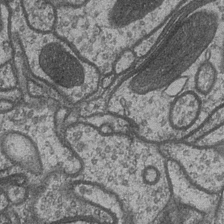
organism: Drosophila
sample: Optic medulla